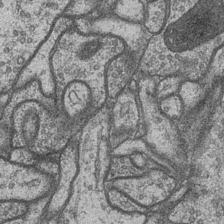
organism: Drosophila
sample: Optic medulla